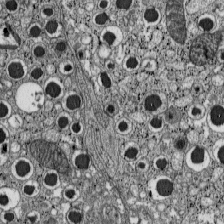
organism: C57BL Mouse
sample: Pancreatic islet